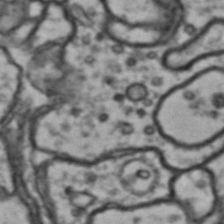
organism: Drosophila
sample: Brain